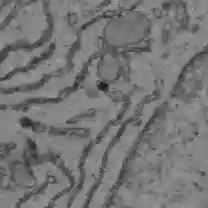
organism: C57BL Mouse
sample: Liver